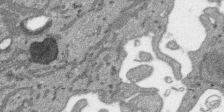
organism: Human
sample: Lung epithelial cells infected with SARS-CoV-2